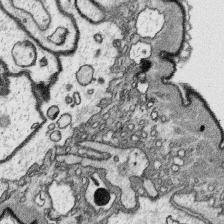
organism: Platynereis dumerilii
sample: Parapodia